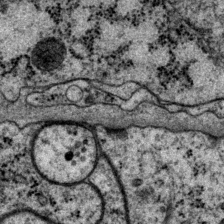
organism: P. pacificus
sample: Pharynx